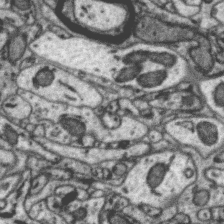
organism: Zebra finch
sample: Brain